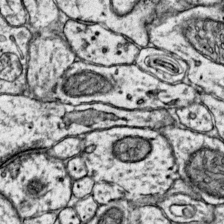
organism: Mouse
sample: Primary visual cortex